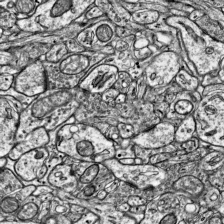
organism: Mouse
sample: Visual Cortex